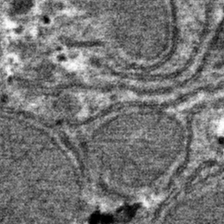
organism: Mouse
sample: Mouse hepatocytes